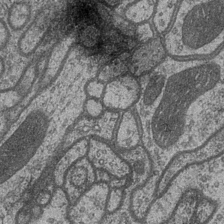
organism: Drosophila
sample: Optic medulla